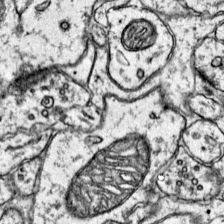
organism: Mouse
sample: Primary visual cortex